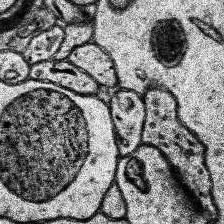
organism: Human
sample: Temporal Lobe